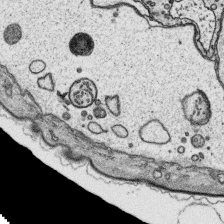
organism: Platynereis dumerilii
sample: Parapodia